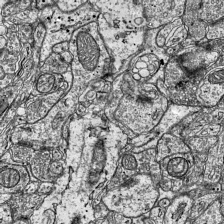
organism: Mouse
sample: Visual Cortex